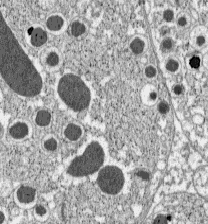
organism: C57BL Mouse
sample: Pancreatic islet